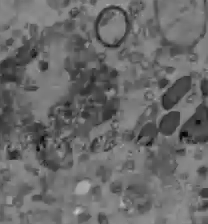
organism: C57BL Mouse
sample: Liver